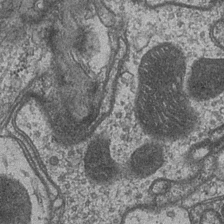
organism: Drosophila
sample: Optic medulla